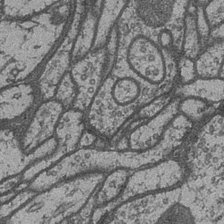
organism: Drosophila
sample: Optic medulla